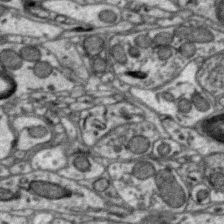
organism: Zebra finch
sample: Brain